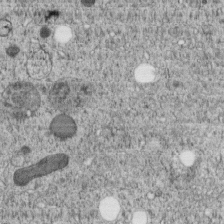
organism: C. elegans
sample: C. elegans embryo early stage